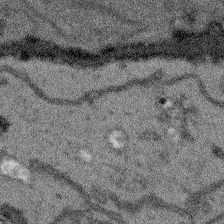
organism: Arabidopsis thaliana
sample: Root tip